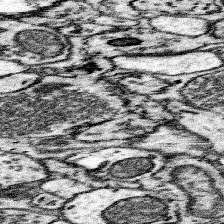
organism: Mouse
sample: Somatosensory cortex neuropil